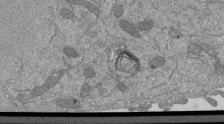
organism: Mouse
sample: ED-1 cell nuclei; centrioles